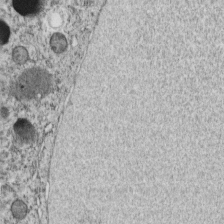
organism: C. elegans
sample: C. elegans embryo early stage